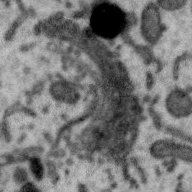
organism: Zebra finch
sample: Brain